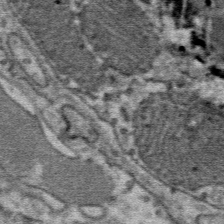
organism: Mouse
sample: Mouse Salivary gland